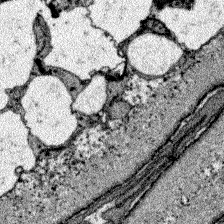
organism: Zebrafish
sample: Larval olfactory bulb